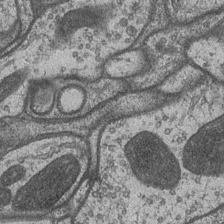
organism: Drosophila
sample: Optic medulla